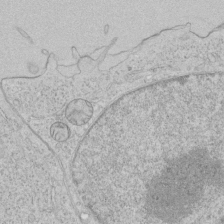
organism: Human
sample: Mitochondria in HCT116 cells